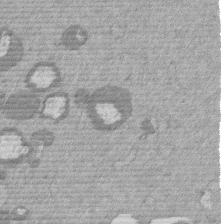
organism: Mouse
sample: Dividing mouse embryo 1 cell stage